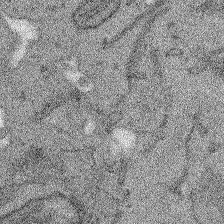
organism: Human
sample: HeLa cells